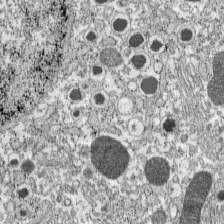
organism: C57BL Mouse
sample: Pancreatic islet